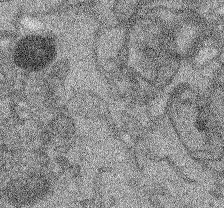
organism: Human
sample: HeLa cells